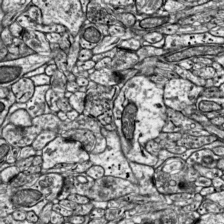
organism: Mouse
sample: Visual Cortex